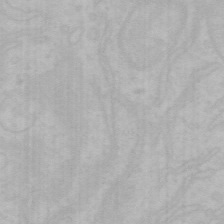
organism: Mouse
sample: Choroid plexus